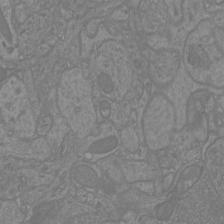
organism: Mouse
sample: Cortical neurons